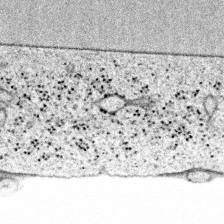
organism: Human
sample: HeLa cells